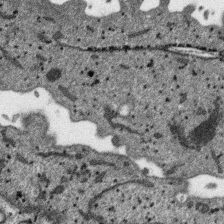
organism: Human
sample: Lung epithelial cells infected with SARS-CoV-2